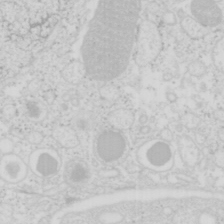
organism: Mouse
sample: Pancreas